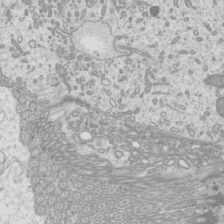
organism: Mouse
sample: Cilia; mouse epididymis